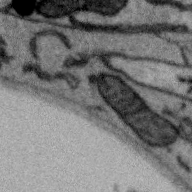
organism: Zebra finch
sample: Brain